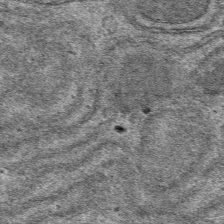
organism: Mouse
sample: Mouse hepatocytes